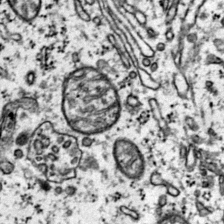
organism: Mouse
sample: Primary visual cortex